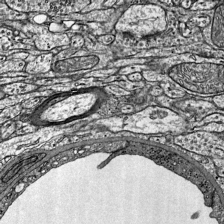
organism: Mouse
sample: Visual Cortex